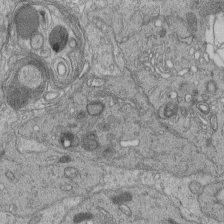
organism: Human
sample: Retinal organoid Rod and Cone cells